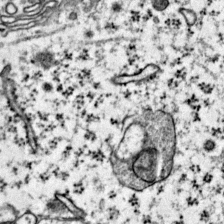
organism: Mouse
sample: Primary visual cortex